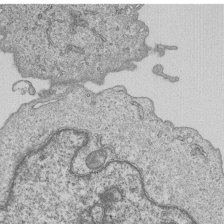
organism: Human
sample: MDA-MB-231 cells